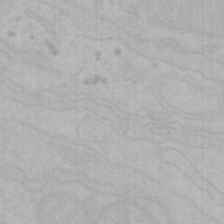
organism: Mouse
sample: Choroid plexus